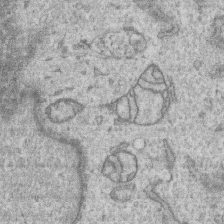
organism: Human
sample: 1205lu cells